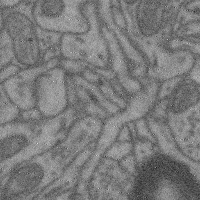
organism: Mouse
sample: Cerebral cortex